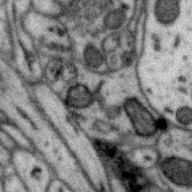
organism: Zebra finch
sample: Brain